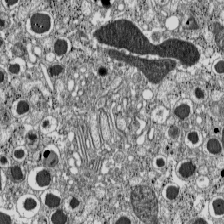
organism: C57BL Mouse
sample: Pancreatic islet